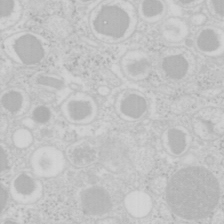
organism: Mouse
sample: Pancreas